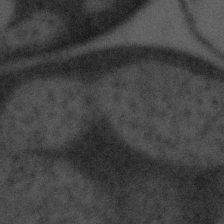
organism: Tuwongella immobilis